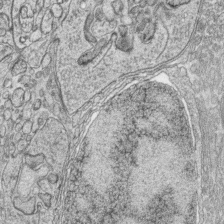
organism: Zebrafish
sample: synaptic ribbons in rod cells and cone cells